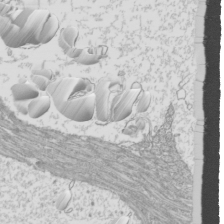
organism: Mouse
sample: Cilia; mouse epididymis